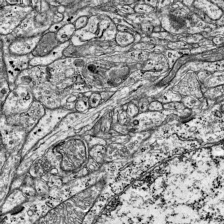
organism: Mouse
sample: Visual Cortex